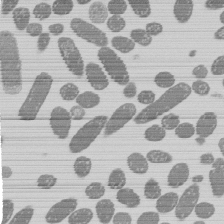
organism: E. coli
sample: Bacterial nucleoid